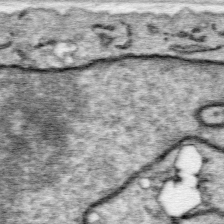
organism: Human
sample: HeLa cells